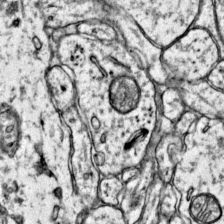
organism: Mouse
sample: Primary visual cortex